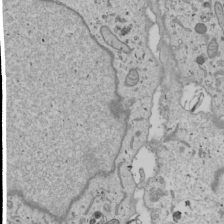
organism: Human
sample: Mitochondria in U2OS cells